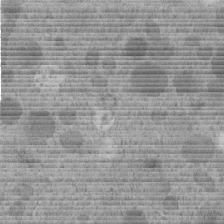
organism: C. elegans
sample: C. elegans embryo early stage